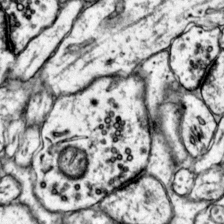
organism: Mouse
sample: Primary visual cortex